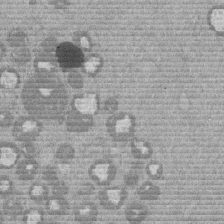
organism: Mouse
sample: Dividing mouse embryo 1 cell stage